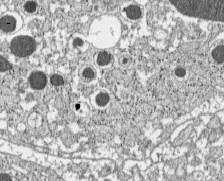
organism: C57BL Mouse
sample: Pancreatic islet